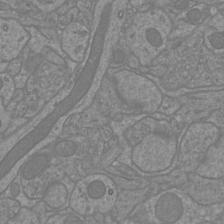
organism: Mouse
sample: Cortical neurons